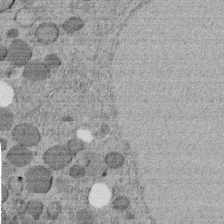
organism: C. elegans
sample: C. elegans embryo early stage